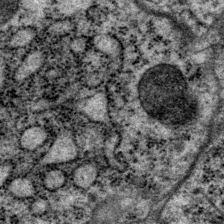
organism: P. pacificus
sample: Pharynx